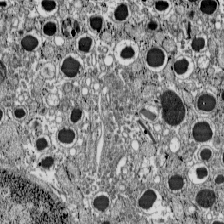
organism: C57BL Mouse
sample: Pancreatic islet